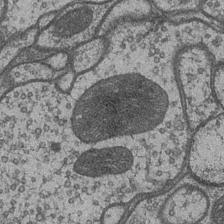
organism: Drosophila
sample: Optic medulla